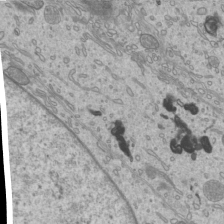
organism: Mouse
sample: Cilia; mouse epididymis